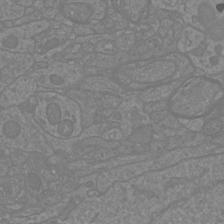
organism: Mouse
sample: Cortical neurons